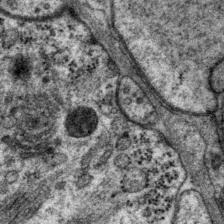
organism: P. pacificus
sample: Pharynx